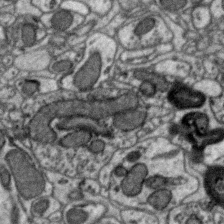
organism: Zebra finch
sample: Brain